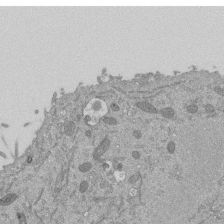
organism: Mouse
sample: ED-1 cell nuclei; centrioles